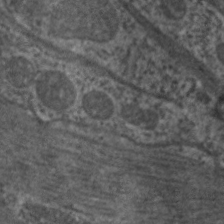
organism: C. elegans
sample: Pharynx